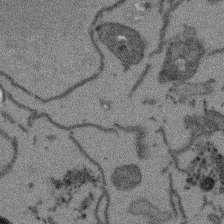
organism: Arabidopsis thaliana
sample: Root tip